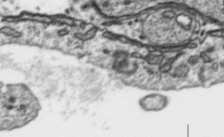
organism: Toxoplasma gondii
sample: Parasites in a vacuole inside a host cell